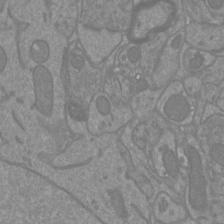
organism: Mouse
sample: Cortical neurons